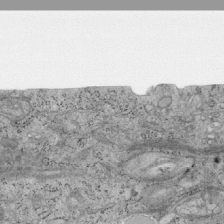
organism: Human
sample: HeLa cells